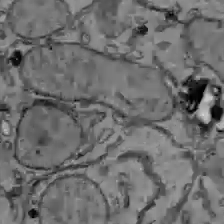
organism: C57BL Mouse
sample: Liver